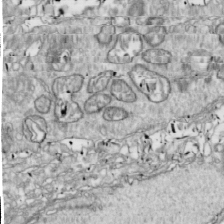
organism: Drosophila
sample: Cell division; meiosis; drosophila spermatocytes